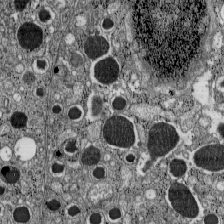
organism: C57BL Mouse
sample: Pancreatic islet